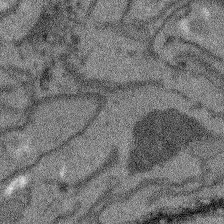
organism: Arabidopsis thaliana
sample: Root tip